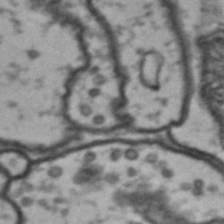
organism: Drosophila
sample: Brain